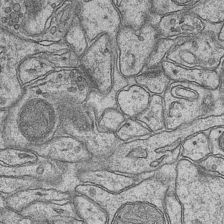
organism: Mouse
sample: CA1 Hippocampus